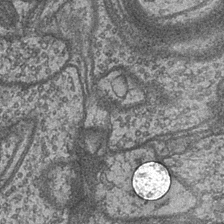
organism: Drosophila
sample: Optic medulla